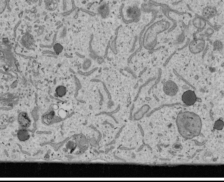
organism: Human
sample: Mitochondria in U2OS cells